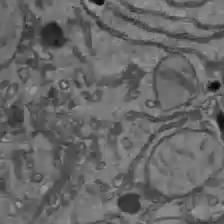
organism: C57BL Mouse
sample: Liver